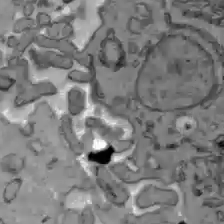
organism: C57BL Mouse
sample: Liver